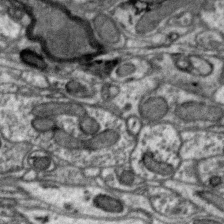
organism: Zebra finch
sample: Brain